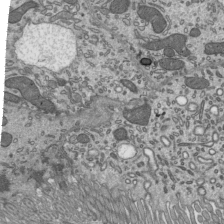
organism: Mouse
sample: Mouse epididymis efferent ductule cilia